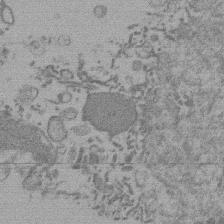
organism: Mouse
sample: Dividing mouse embryo 1 cell stage